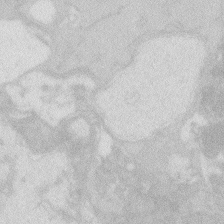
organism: Zebrafish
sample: Macrophage